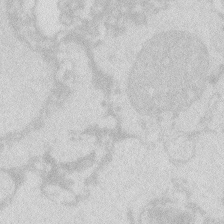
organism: Zebrafish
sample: Macrophage